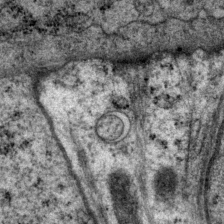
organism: P. pacificus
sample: Pharynx